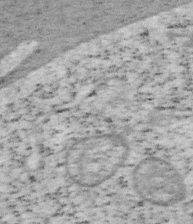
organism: Mouse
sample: OT-I killer T cells with ID8 ovarian cancer cells